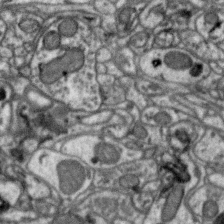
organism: Zebra finch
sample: Brain